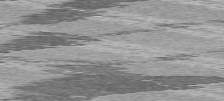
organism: C57BL Mouse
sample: Heart